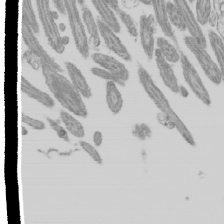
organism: Mouse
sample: Cilia; mouse epididymis